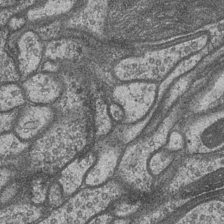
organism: Drosophila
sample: Optic medulla